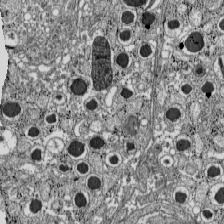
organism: C57BL Mouse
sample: Pancreatic islet